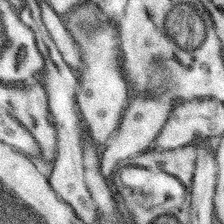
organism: Mouse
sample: Somatosensory cortex neuropil